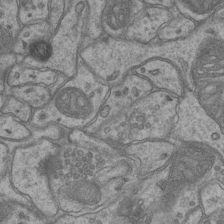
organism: Mouse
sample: CA1 Hippocampus